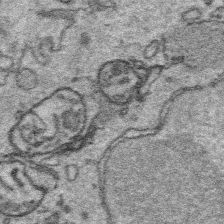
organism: Platynereis dumerilii